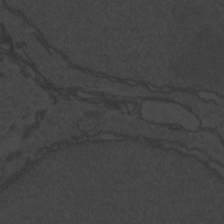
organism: Zebrafish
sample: Macrophage infected with Toxoplasma gondii